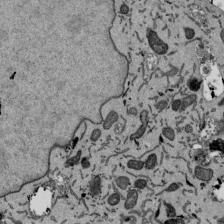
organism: Mouse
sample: ED-1 cell nuclei; centrioles